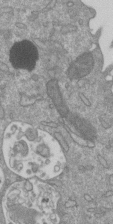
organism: Mouse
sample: ED-1 cell nuclei; centrioles